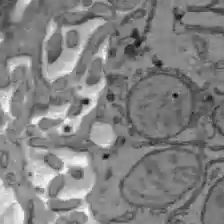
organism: C57BL Mouse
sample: Liver